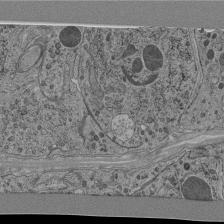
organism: C. elegans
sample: C. elegans pharynx